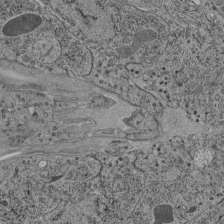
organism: C. elegans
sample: C. elegans pharynx